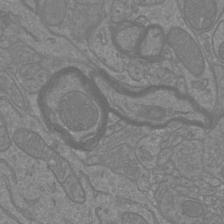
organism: Mouse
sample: Cortical neurons